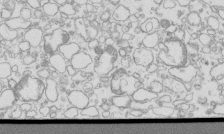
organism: Mouse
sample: Macrophages